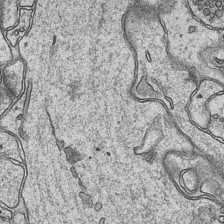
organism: Mouse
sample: CA1 Hippocampus